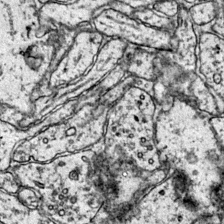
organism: Mouse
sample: Primary visual cortex